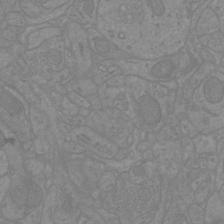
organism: Mouse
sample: Cortical neurons